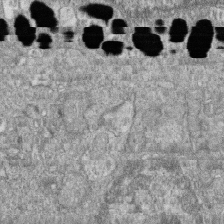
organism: Zebrafish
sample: Cilia; retinal pigment epithelium